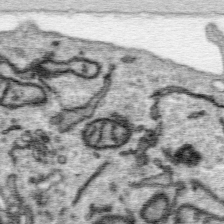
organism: Human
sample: HeLa cells